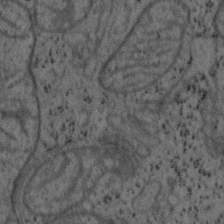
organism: Human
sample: HeLa cells